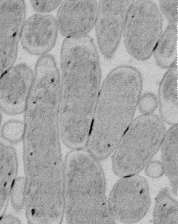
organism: E. coli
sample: Bacterial nucleoid